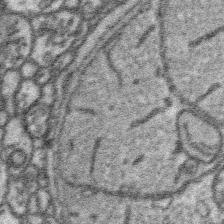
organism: Platynereis dumerilii